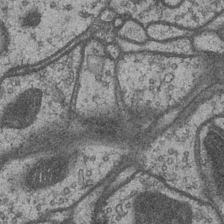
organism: Drosophila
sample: Optic medulla